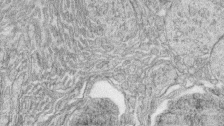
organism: Zebrafish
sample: synaptic ribbons in rod cells and cone cells